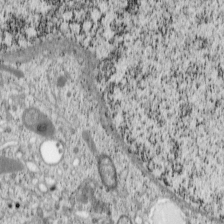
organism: African green monkey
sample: COS-7 cells